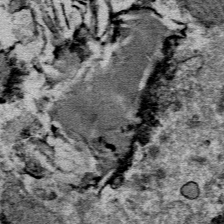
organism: Mouse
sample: Mouse Salivary gland